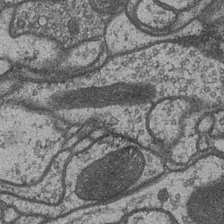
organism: Drosophila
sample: Optic medulla